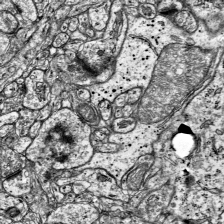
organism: Mouse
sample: Visual Cortex